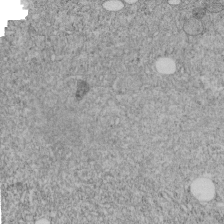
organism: C. elegans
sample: C. elegans embryo early stage